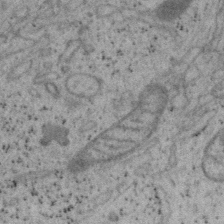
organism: Human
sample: HeLa cells